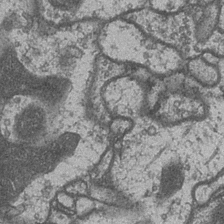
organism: Drosophila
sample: Optic medulla